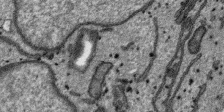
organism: Human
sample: Lung epithelial cells, uninfected (mock) control